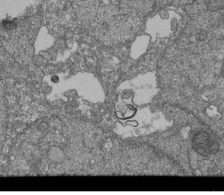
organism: Human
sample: Retinal organoid Rod and Cone cells